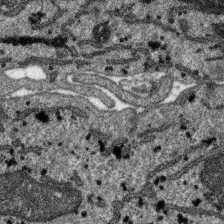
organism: Human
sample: Lung epithelial cells infected with SARS-CoV-2